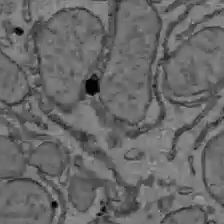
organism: C57BL Mouse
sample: Liver